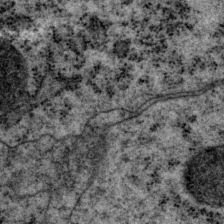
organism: P. pacificus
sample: Pharynx